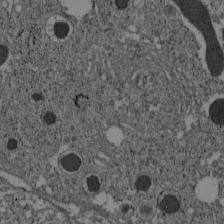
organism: C57BL Mouse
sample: Pancreatic islet